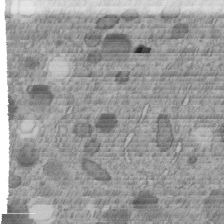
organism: C. elegans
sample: C. elegans embryo early stage